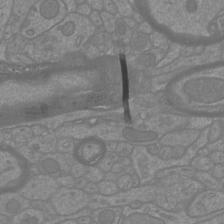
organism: Mouse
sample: Cortical neurons